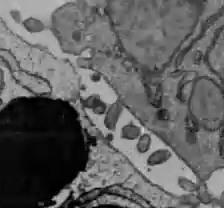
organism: C57BL Mouse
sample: Liver